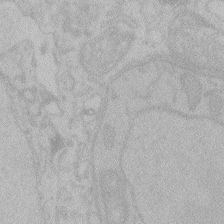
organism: Zebrafish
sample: Macrophage infected with Toxoplasma gondii